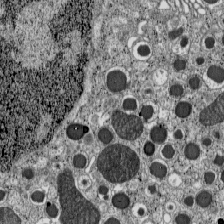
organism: C57BL Mouse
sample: Pancreatic islet